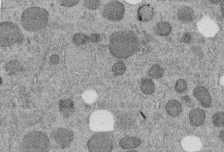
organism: C. elegans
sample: C. elegans embryo early stage